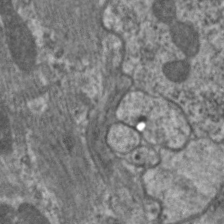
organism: C. elegans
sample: Pharynx